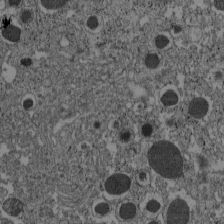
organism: C57BL Mouse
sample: Pancreatic islet